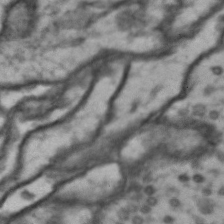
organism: Drosophila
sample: Brain